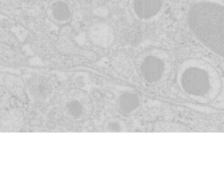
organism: Mouse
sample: Pancreas